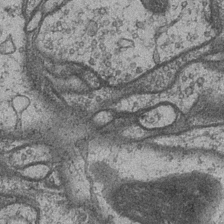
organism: Drosophila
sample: Optic medulla